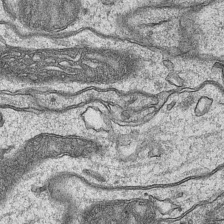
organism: Mouse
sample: CA1 Hippocampus